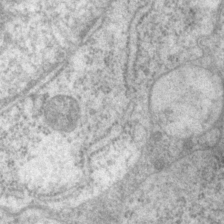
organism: P. pacificus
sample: Pharynx